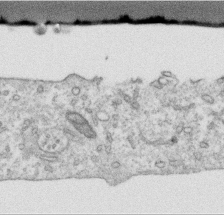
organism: Human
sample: Centriole in RPE cells